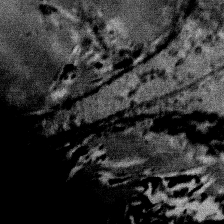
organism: Mouse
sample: Mouse Salivary gland